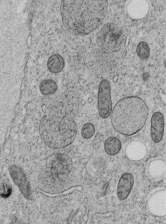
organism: C. elegans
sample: C. elegans embryo early stage